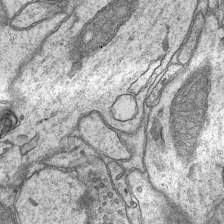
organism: Mouse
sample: CA1 Hippocampus